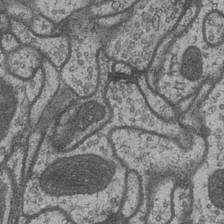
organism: Drosophila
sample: Optic medulla